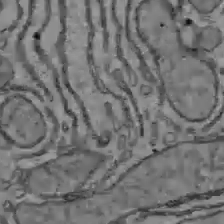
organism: C57BL Mouse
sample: Liver